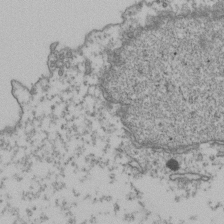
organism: Human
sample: Activated Jurkat CD4+ T cells